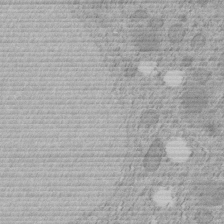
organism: C. elegans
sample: C. elegans embryo early stage